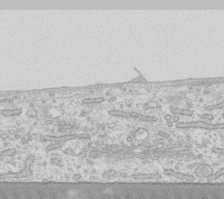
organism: Human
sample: Fibroblast cells